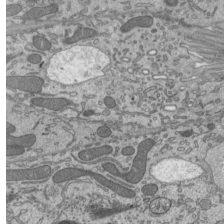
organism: Mouse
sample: Mouse epididymis efferent ductule cilia